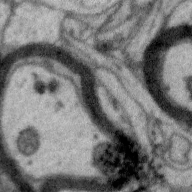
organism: Zebra finch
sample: Brain